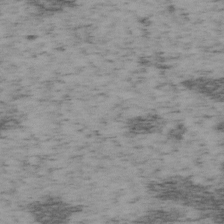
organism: Mouse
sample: OT-I killer T cells with ID8 ovarian cancer cells